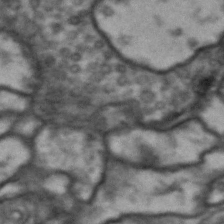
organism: Drosophila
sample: Brain